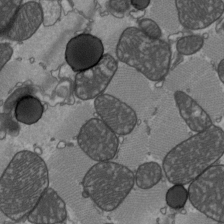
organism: C57BL Mouse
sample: Heart